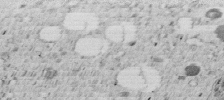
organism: C. elegans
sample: C. elegans embryo early stage